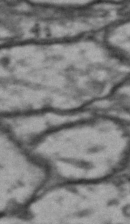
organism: Drosophila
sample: Brain